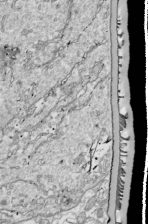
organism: Drosophila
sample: Cell division; meiosis; drosophila spermatocytes